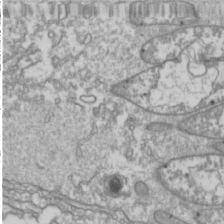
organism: Drosophila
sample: Cell division; meiosis; drosophila spermatocytes